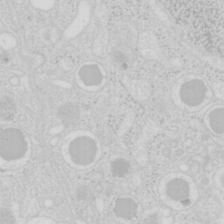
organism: Mouse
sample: Pancreas